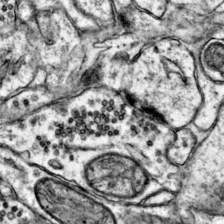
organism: Mouse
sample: Primary visual cortex